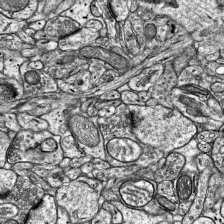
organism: Mouse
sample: Visual Cortex